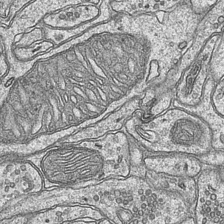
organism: Mouse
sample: CA1 Hippocampus